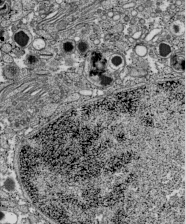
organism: C57BL Mouse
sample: Pancreatic islet